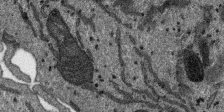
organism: Human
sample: Lung epithelial cells infected with SARS-CoV-2